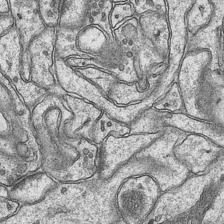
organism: Mouse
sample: CA1 Hippocampus